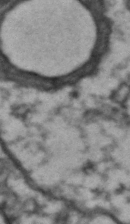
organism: Drosophila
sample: Brain